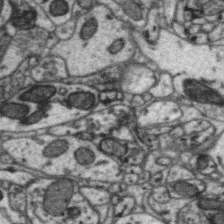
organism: Zebra finch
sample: Brain